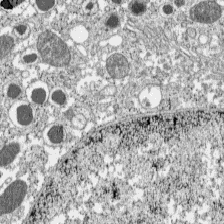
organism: C57BL Mouse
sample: Pancreatic islet